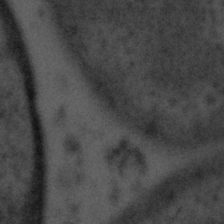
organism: Tuwongella immobilis